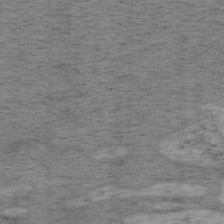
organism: Mouse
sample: OT-I killer T cells with ID8 ovarian cancer cells